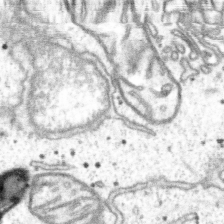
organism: Human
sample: HeLa cells